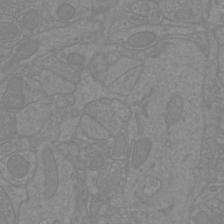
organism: Mouse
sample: Cortical neurons